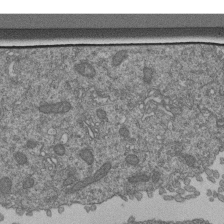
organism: Human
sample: Retinal organoid Rod and Cone cells